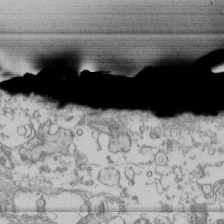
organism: Human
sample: Fibroblast cells